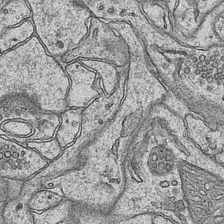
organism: Mouse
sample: CA1 Hippocampus